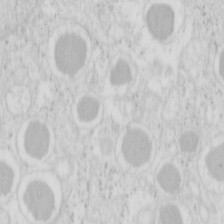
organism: Mouse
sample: Pancreas